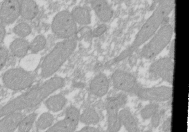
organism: Xenopus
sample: Cilia; centrioles in frog embryo cells